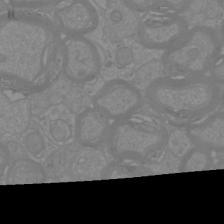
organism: Mouse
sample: Cortical neurons